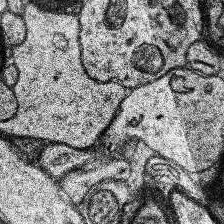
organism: Human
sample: Temporal Lobe